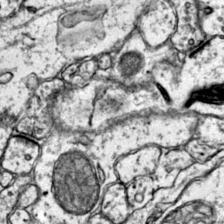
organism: Mouse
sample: Primary visual cortex